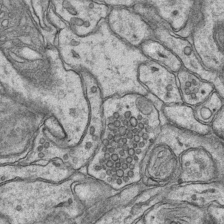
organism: Mouse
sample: CA1 Hippocampus